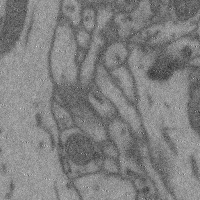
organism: Mouse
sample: Cerebral cortex